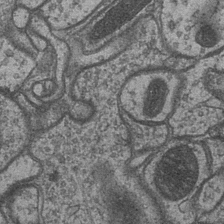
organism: Drosophila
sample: Optic medulla